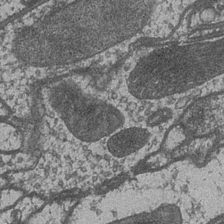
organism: Drosophila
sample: Optic medulla